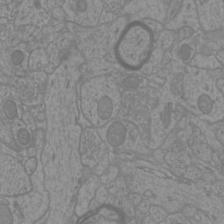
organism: Mouse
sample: Cortical neurons